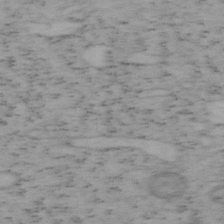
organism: Mouse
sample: OT-I killer T cells with ID8 ovarian cancer cells